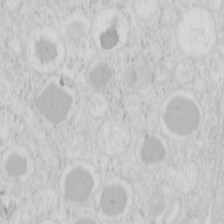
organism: Mouse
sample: Pancreas